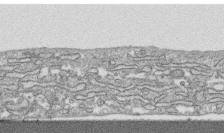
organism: Human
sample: CRL-1474